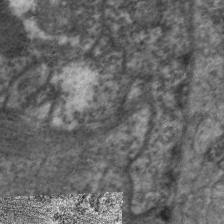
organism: C. elegans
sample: Pharynx